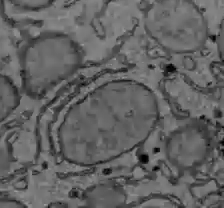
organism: C57BL Mouse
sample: Liver